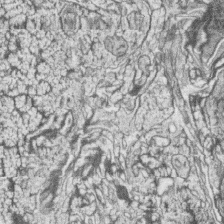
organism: Zebrafish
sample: synaptic ribbons in rod cells and cone cells